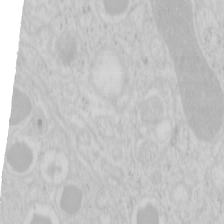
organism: Mouse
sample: Pancreas